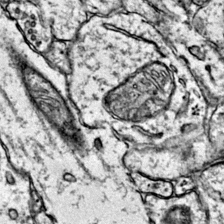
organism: Mouse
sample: Primary visual cortex